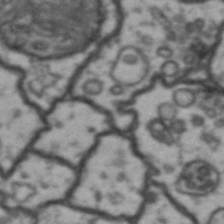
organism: Drosophila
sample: Brain